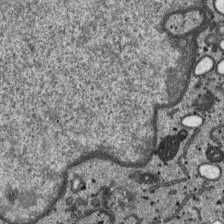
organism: Human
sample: Lung epithelial cells infected with SARS-CoV-2